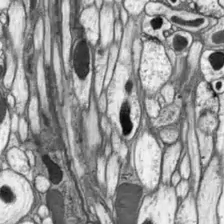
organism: Drosophila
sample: Optic lobe